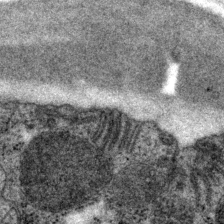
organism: P. pacificus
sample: Pharynx